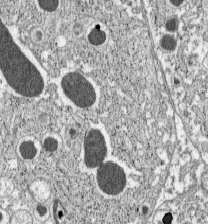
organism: C57BL Mouse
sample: Pancreatic islet